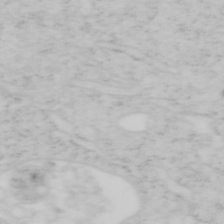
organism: Mouse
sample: OT-I killer T cells with ID8 ovarian cancer cells